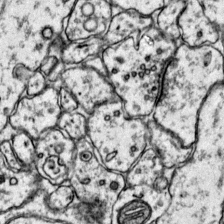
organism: Mouse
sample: Primary visual cortex